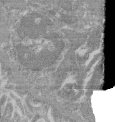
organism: Mouse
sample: Glomerulus